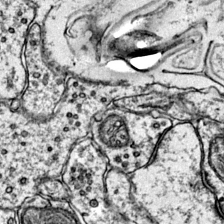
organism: Mouse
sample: Primary visual cortex